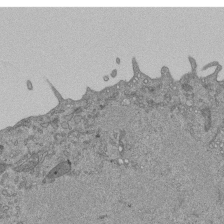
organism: Mouse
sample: ED-1 cell nuclei; centrioles